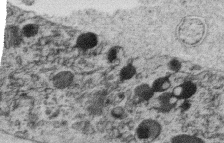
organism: C. elegans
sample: C. elegans oocyte; sperm cells